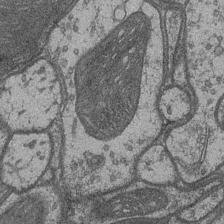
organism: Drosophila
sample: Optic medulla